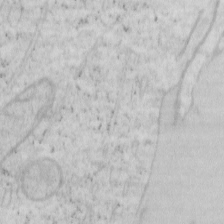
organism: Human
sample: HeLa cells